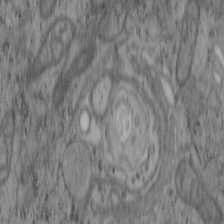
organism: Human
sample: HeLa cells